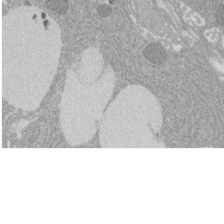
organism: Rat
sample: Salivary granule